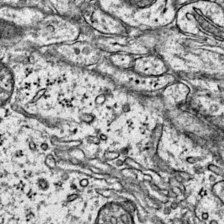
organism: Mouse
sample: Primary visual cortex